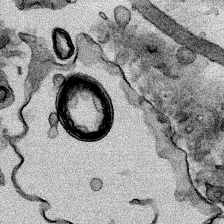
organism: Human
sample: Mitochondria in HCT116 cells